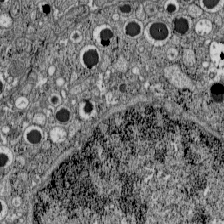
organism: C57BL Mouse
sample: Pancreatic islet